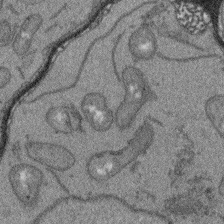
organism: Arabidopsis thaliana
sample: Root tip